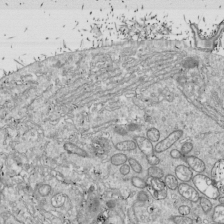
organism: Drosophila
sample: Cell division; meiosis; drosophila spermatocytes